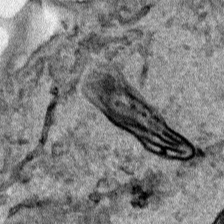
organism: Human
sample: Mitochondria in HCT116 cells